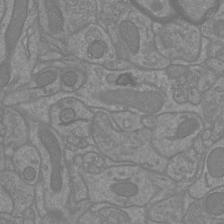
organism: Mouse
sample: Cortical neurons